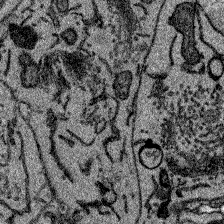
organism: Zebrafish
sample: Larval olfactory bulb